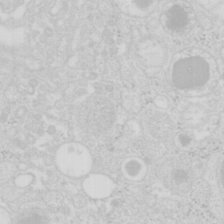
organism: Mouse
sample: Pancreas